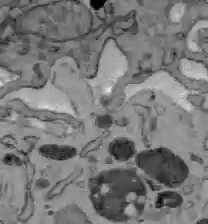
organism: C57BL Mouse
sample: Liver